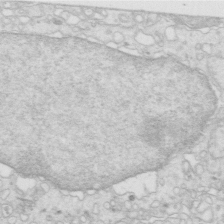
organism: Mouse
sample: Multiciliated cells